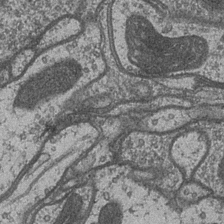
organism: Drosophila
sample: Optic medulla